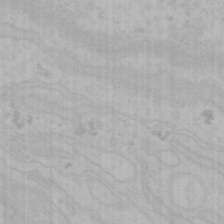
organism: Mouse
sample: Choroid plexus